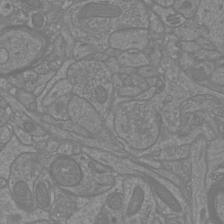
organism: Mouse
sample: Cortical neurons